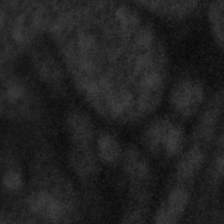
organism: Tuwongella immobilis